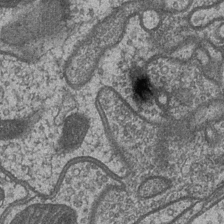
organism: Drosophila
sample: Optic medulla